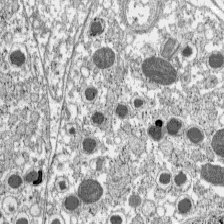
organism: C57BL Mouse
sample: Pancreatic islet